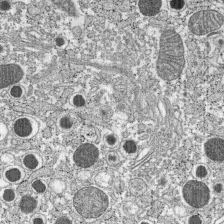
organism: C57BL Mouse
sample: Pancreatic islet